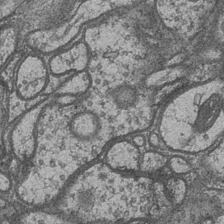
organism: Drosophila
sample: Optic medulla